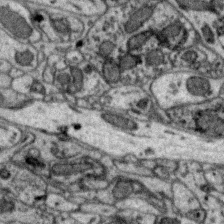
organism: Zebra finch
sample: Brain